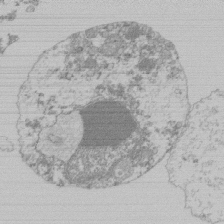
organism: Mouse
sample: Activated Pmel transgenic CD8+ T Cells